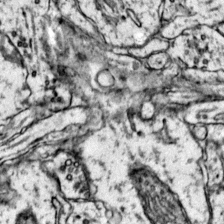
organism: Mouse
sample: Primary visual cortex